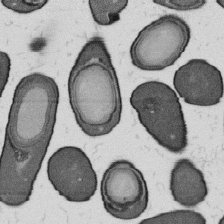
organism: B. subtilis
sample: Bacterial spore